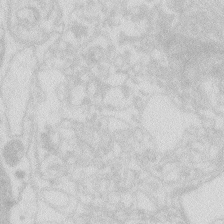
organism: Zebrafish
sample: Macrophage